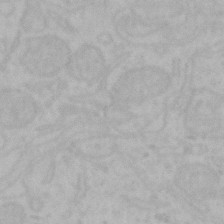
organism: Mouse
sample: Choroid plexus